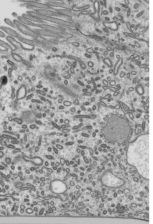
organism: Mouse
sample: Mouse epididymis efferent ductule cilia